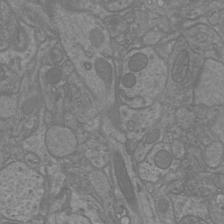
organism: Mouse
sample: Cortical neurons